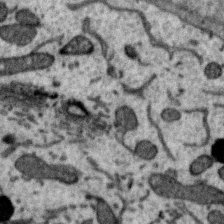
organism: Zebra finch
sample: Brain